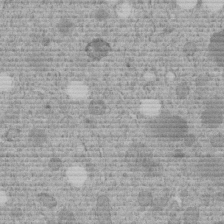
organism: C. elegans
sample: C. elegans embryo early stage